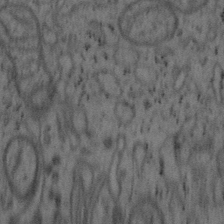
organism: Human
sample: HeLa cells